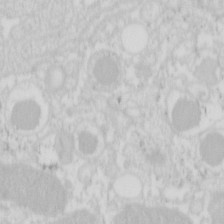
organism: Mouse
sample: Pancreas